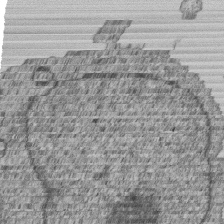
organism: Human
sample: MDA-MB-231 cells